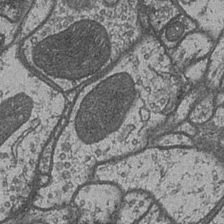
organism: Drosophila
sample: Optic medulla